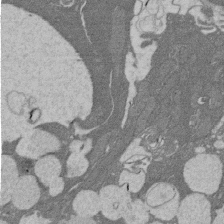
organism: Rat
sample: Salivary granule